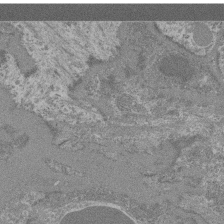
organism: Mouse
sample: Glomerulus